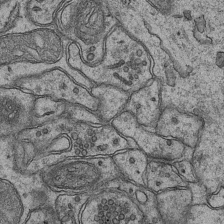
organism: Mouse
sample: CA1 Hippocampus